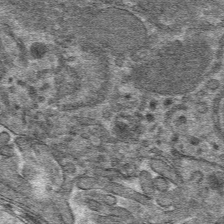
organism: Mouse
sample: Mouse hepatocytes